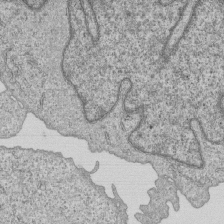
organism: Human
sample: MDA-MB-231 cells